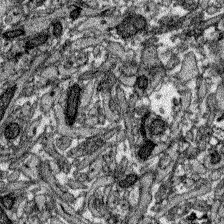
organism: Zebrafish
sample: Larval olfactory bulb